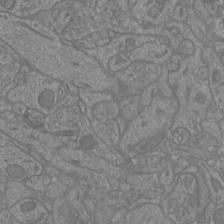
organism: Mouse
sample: Cortical neurons